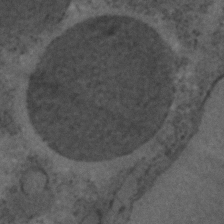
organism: C. elegans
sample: C. elegans embryo